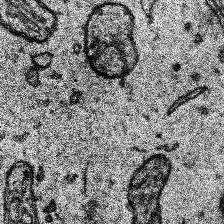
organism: Human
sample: Temporal Lobe